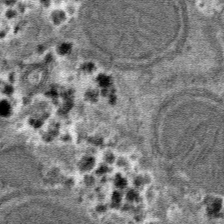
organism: Mouse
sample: Mouse hepatocytes